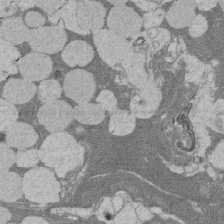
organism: Rat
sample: Salivary granule